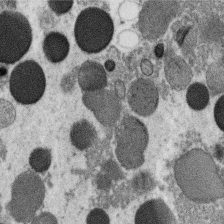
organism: C. elegans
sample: C. elegans oocyte; sperm cells